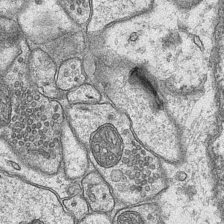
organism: Mouse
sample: CA1 Hippocampus